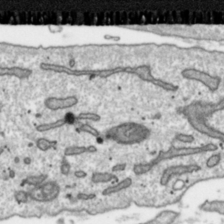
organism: Toxoplasma gondii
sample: Parasites in a vacuole inside a host cell